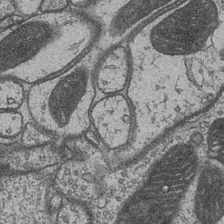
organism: Drosophila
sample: Optic medulla